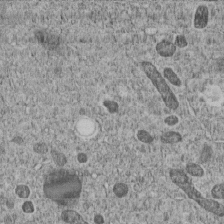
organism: C. elegans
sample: C. elegans embryo early stage